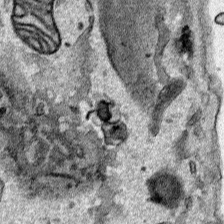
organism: Human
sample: Mitochondria in HCT116 cells